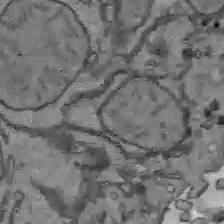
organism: C57BL Mouse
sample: Liver